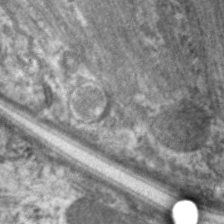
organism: C. elegans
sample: Pharynx